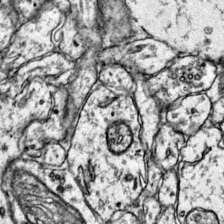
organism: Mouse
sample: Primary visual cortex